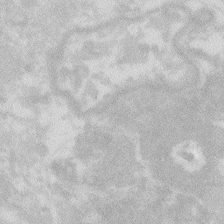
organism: Zebrafish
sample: Macrophage